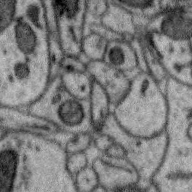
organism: Zebra finch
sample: Brain